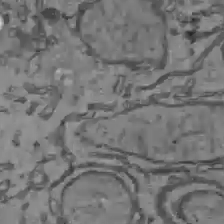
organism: C57BL Mouse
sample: Liver